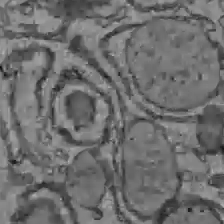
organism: C57BL Mouse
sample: Liver